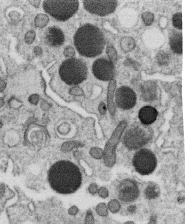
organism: C. elegans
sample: C. elegans oocyte; sperm cells